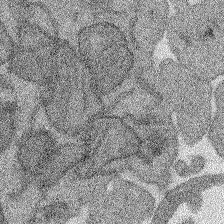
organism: Human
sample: HeLa cells